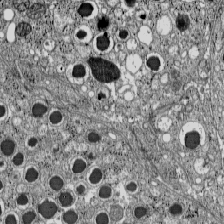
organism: C57BL Mouse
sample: Pancreatic islet